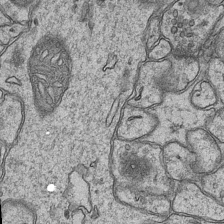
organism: Mouse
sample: CA1 Hippocampus